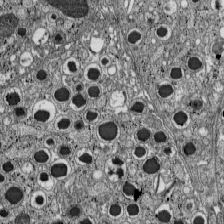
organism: C57BL Mouse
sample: Pancreatic islet